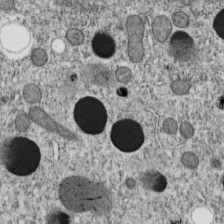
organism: C. elegans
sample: C. elegans embryo early stage